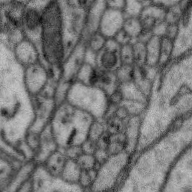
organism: Zebra finch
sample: Brain